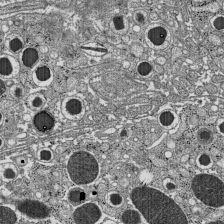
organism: C57BL Mouse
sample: Pancreatic islet